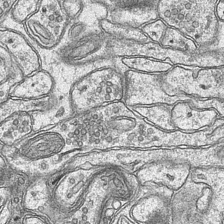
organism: Mouse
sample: CA1 Hippocampus